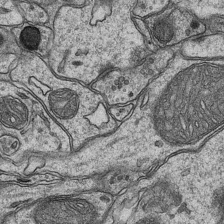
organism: Mouse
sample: CA1 Hippocampus